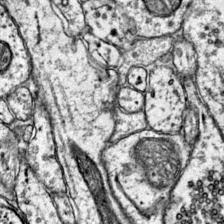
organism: Mouse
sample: Primary visual cortex